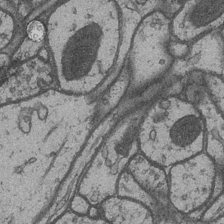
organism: Drosophila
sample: Optic medulla